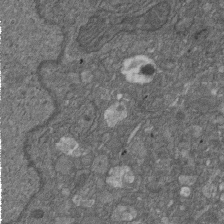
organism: Drosophila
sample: Nephrocyte